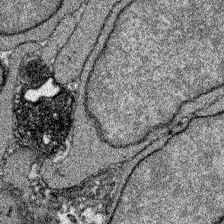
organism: Zebrafish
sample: Larval olfactory bulb